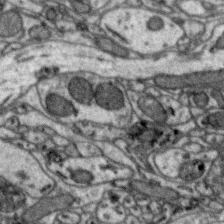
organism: Zebra finch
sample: Brain